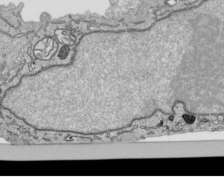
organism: Human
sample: Mitochondria in HCT116 cells